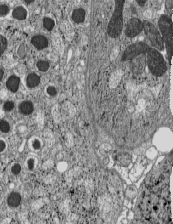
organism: C57BL Mouse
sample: Pancreatic islet